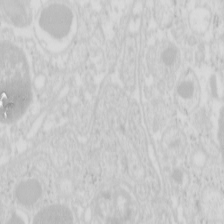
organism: Mouse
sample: Pancreas